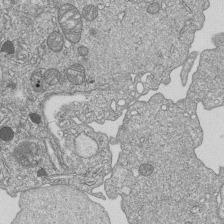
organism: Human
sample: MDA-MB-231 cells